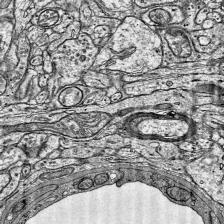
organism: Mouse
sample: Visual Cortex